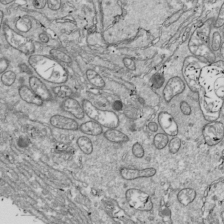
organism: Drosophila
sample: Cell division; meiosis; drosophila spermatocytes